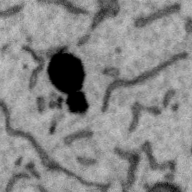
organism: Zebra finch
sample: Brain